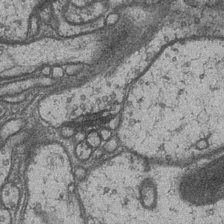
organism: Drosophila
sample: Optic medulla